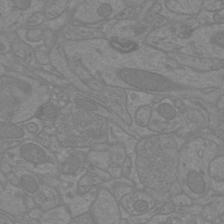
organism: Mouse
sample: Cortical neurons